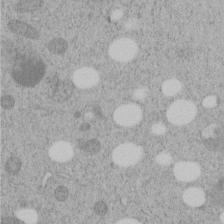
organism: C. elegans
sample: C. elegans embryo early stage